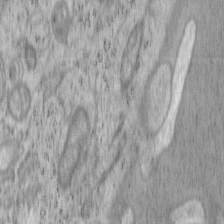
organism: Human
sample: HeLa cells